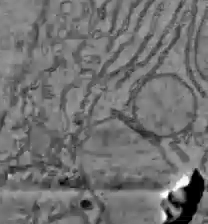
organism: C57BL Mouse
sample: Liver